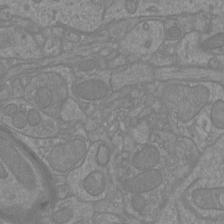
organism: Mouse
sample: Cortical neurons